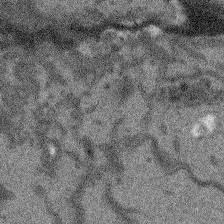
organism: Arabidopsis thaliana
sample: Root tip